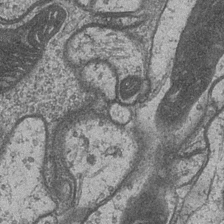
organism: Drosophila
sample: Optic medulla